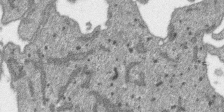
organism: Human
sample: Lung epithelial cells infected with SARS-CoV-2